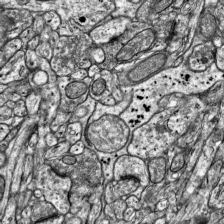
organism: Mouse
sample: Visual Cortex